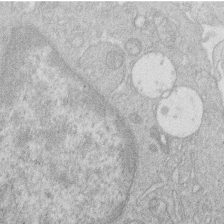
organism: Human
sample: Macrophage cells